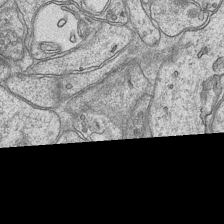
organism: Mouse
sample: CA1 Hippocampus